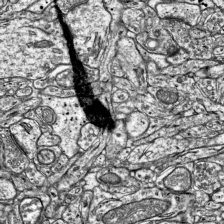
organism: Mouse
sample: Visual Cortex